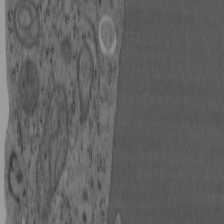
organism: Human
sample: HeLa cells